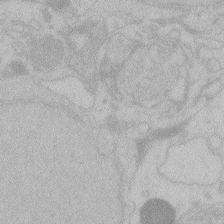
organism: Zebrafish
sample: Macrophage infected with Toxoplasma gondii